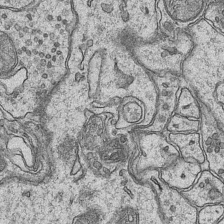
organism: Mouse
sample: CA1 Hippocampus